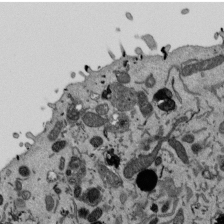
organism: Mouse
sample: ED-1 cell nuclei; centrioles